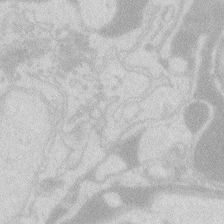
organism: Zebrafish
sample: Macrophage